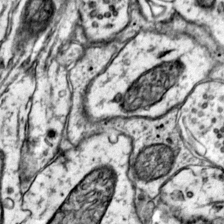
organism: Mouse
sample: Primary visual cortex